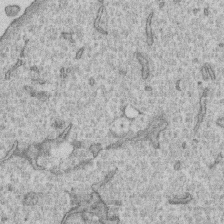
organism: Human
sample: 1205lu cells